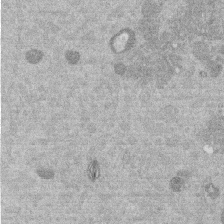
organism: Mouse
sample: Dividing mouse embryo 1 cell stage